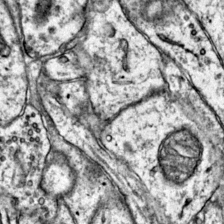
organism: Mouse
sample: Primary visual cortex